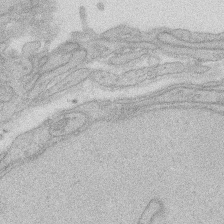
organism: Rat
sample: Salivary granule